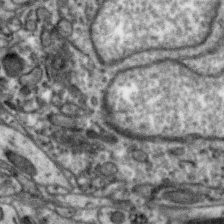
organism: Zebra finch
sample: Brain